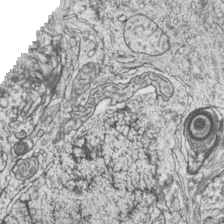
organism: Zebrafish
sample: synaptic ribbons in rod cells and cone cells